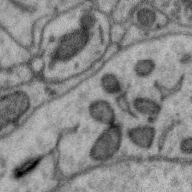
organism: Zebra finch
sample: Brain